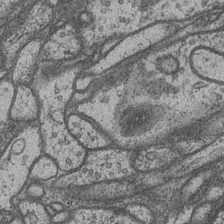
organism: Drosophila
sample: Optic medulla